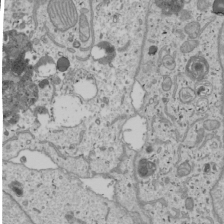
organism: Human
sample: Mitochondria in U2OS cells